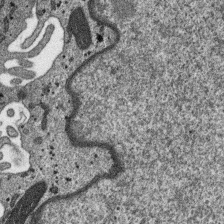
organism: Human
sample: Lung epithelial cells infected with SARS-CoV-2